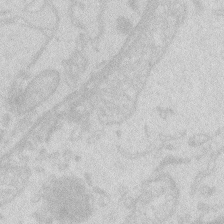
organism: Zebrafish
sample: Macrophage